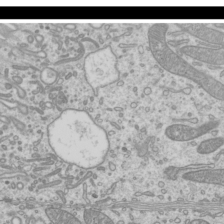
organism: Mouse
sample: Cilia; mouse epididymis